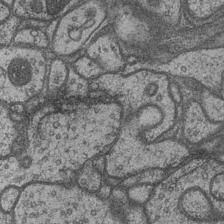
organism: Drosophila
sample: Optic medulla